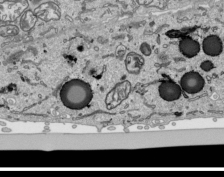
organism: Human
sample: Mitochondria in HCT116 cells